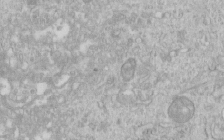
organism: Human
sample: Centriole in RPE cells